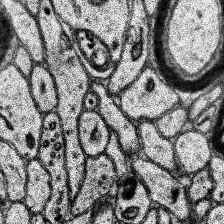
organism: Human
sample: Temporal Lobe